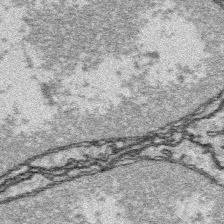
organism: Platynereis dumerilii